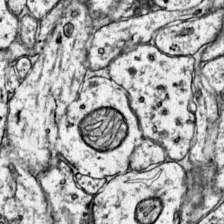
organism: Mouse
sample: Primary visual cortex